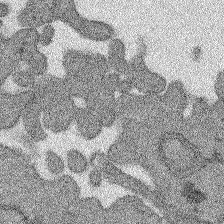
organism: Human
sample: HeLa cells